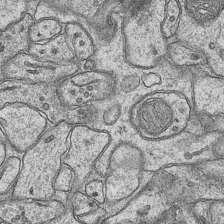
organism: Mouse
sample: CA1 Hippocampus